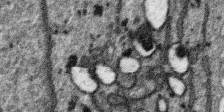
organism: Human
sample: Lung epithelial cells infected with SARS-CoV-2